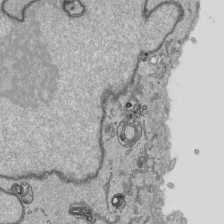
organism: Human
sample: Mitochondria in HCT116 cells